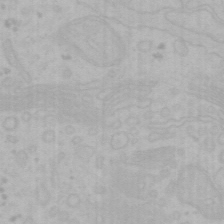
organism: Mouse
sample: Choroid plexus